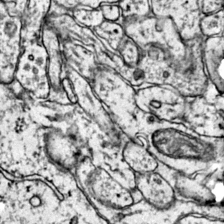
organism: Mouse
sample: Primary visual cortex